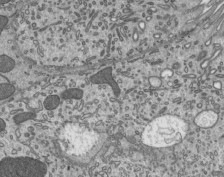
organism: Mouse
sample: Mouse epididymis efferent ductule cilia